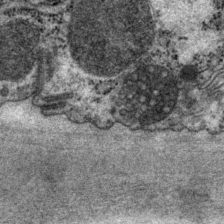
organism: P. pacificus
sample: Pharynx